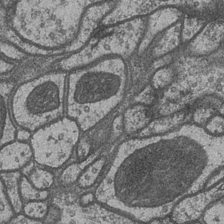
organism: Drosophila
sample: Optic medulla